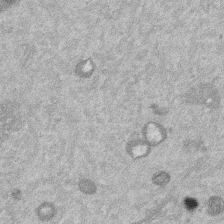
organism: Mouse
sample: Dividing mouse embryo 1 cell stage